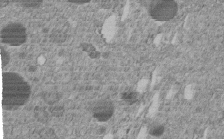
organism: C. elegans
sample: C. elegans embryo early stage